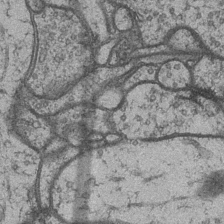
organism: Drosophila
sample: Optic medulla